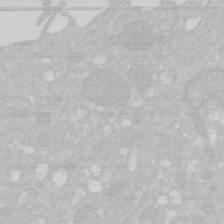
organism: Human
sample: HIV infected U937 cells